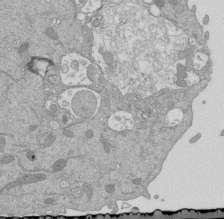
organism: Mouse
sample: ED-1 cell nuclei; centrioles